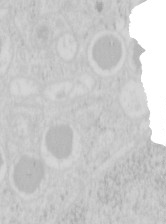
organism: Mouse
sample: Pancreas